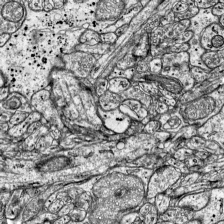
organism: Mouse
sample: Visual Cortex